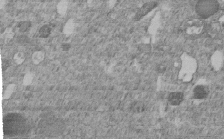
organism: C. elegans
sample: C. elegans embryo early stage